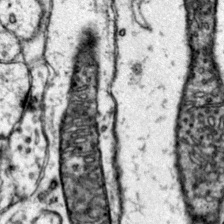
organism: Mouse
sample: Primary visual cortex